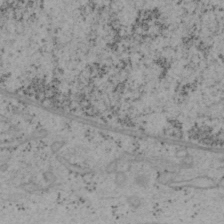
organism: Human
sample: HeLa cells